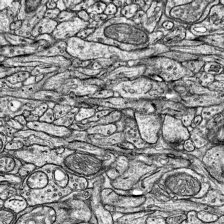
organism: Mouse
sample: Visual Cortex